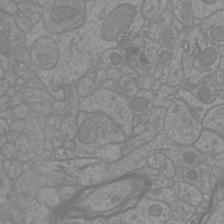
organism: Mouse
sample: Cortical neurons